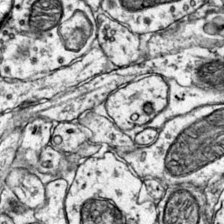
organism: Mouse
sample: Primary visual cortex